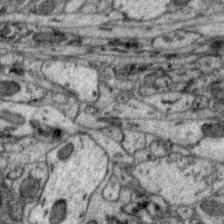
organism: Zebra finch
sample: Brain